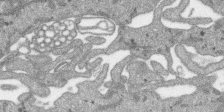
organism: Human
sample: Lung epithelial cells infected with SARS-CoV-2